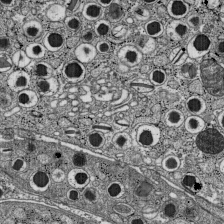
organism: C57BL Mouse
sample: Pancreatic islet